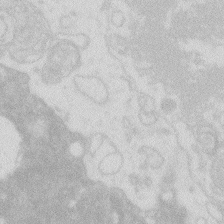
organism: Zebrafish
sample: Macrophage